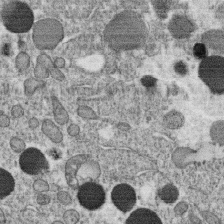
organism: C. elegans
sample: C. elegans oocyte; sperm cells